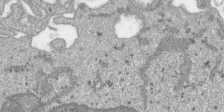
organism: Human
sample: Lung epithelial cells infected with SARS-CoV-2